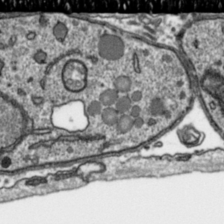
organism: Toxoplasma gondii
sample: Parasites in a vacuole inside a host cell